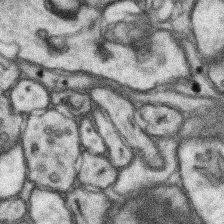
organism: Mouse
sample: Somatosensory cortex neuropil